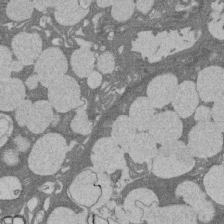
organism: Rat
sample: Salivary granule